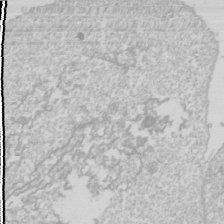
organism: Drosophila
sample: Cell division; meiosis; drosophila spermatocytes